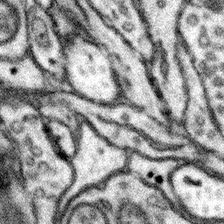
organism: Mouse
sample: Somatosensory cortex neuropil